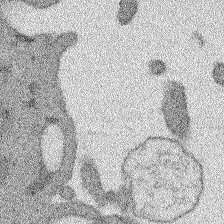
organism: Human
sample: HeLa cells